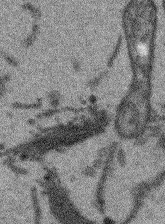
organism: Arabidopsis thaliana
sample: Root tip